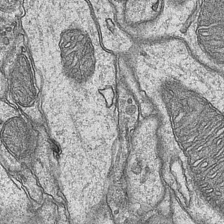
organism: Mouse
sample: CA1 Hippocampus